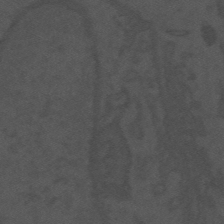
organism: Mouse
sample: Suprachiasmatic nucleus